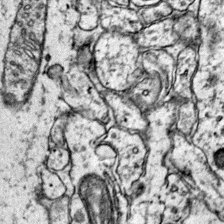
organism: Mouse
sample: Primary visual cortex